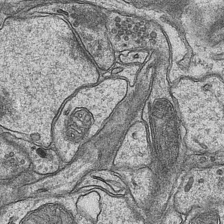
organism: Mouse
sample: CA1 Hippocampus